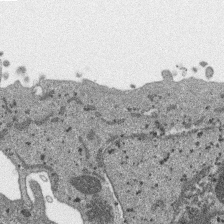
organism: Human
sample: Lung epithelial cells infected with SARS-CoV-2